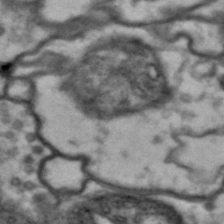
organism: Drosophila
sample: Brain